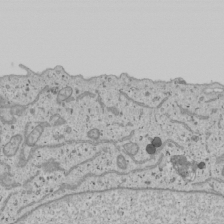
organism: Human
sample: Mitochondria in U2OS cells